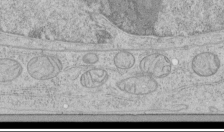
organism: Human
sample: Mitochondria in HCT116 cells